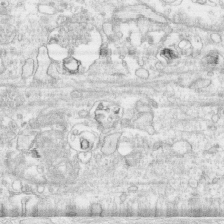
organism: Human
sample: CRL-1474